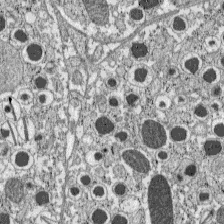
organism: C57BL Mouse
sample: Pancreatic islet